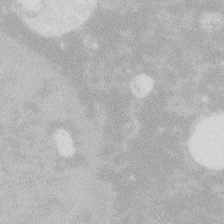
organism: Zebrafish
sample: Macrophage